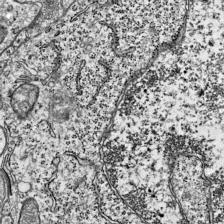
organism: Mouse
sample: Visual Cortex